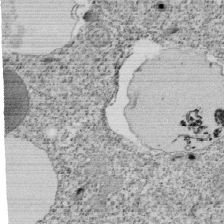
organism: Tetrahymena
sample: Cilia in tetrahymena